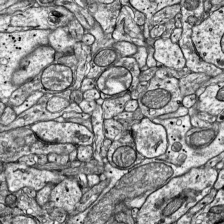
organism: Mouse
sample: Visual Cortex